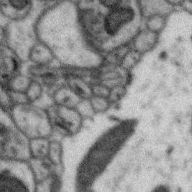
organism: Zebra finch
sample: Brain